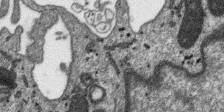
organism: Human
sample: Lung epithelial cells infected with SARS-CoV-2